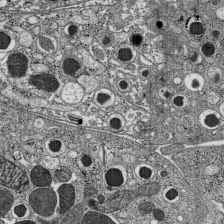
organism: C57BL Mouse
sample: Pancreatic islet